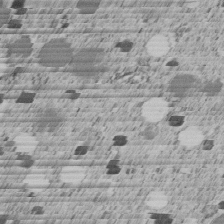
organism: C. elegans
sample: C. elegans embryo early stage